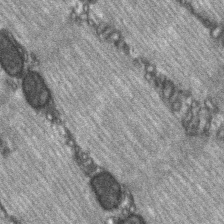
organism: C57BL Mouse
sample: Soleus